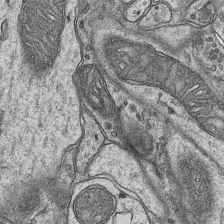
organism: Mouse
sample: CA1 Hippocampus